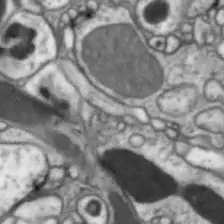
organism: Drosophila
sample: Optic lobe